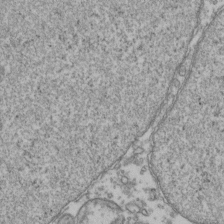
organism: Human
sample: Activated Jurkat CD4+ T cells